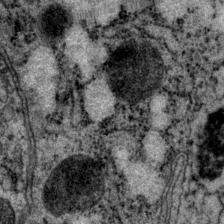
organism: P. pacificus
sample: Pharynx